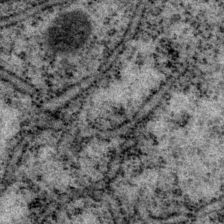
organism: P. pacificus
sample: Pharynx